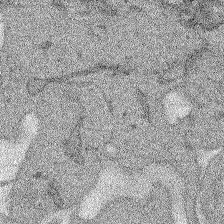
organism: Human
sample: HeLa cells